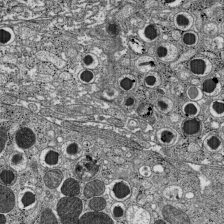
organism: C57BL Mouse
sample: Pancreatic islet